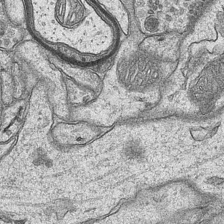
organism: Mouse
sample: CA1 Hippocampus